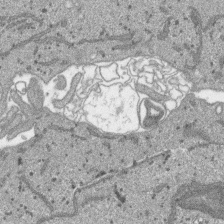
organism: Human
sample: Lung epithelial cells infected with SARS-CoV-2